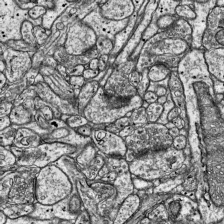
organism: Mouse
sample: Visual Cortex